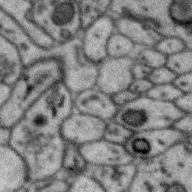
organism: Zebra finch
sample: Brain